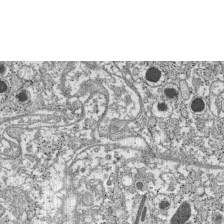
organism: C57BL Mouse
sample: Pancreatic islet